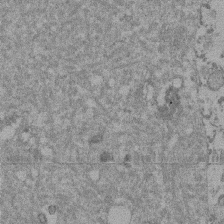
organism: Mouse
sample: Dividing mouse embryo 1 cell stage